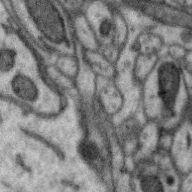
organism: Zebra finch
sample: Brain